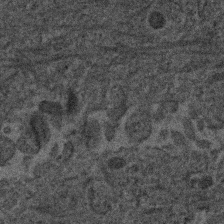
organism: Human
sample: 1205lu cells